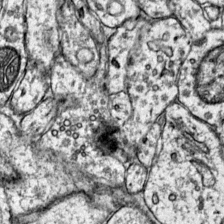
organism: Mouse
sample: Primary visual cortex